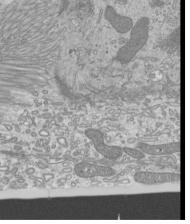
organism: Mouse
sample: Cilia; mouse epididymis